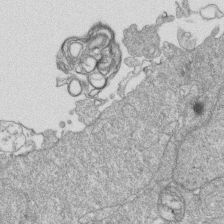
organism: Human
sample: HeLa cell HIV synapse